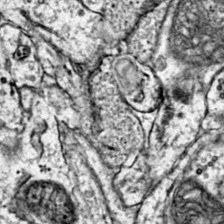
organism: Mouse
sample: Primary visual cortex